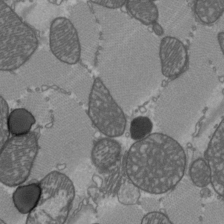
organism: C57BL Mouse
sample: Heart